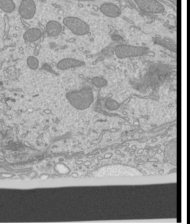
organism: Mouse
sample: Cilia; mouse epididymis